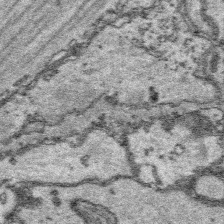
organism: Platynereis dumerilii